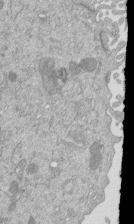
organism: Mouse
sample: ED-1 cell nuclei; centrioles